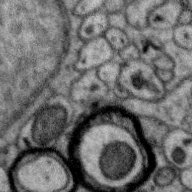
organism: Zebra finch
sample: Brain